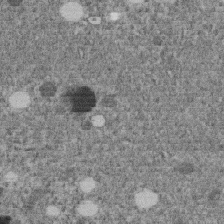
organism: C. elegans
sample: C. elegans embryo early stage